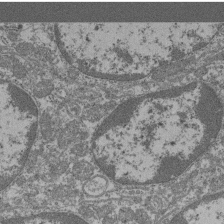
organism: Mouse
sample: Glomerulus